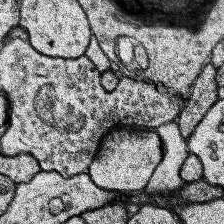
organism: Human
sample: Temporal Lobe